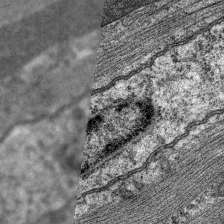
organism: C. elegans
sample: Pharynx